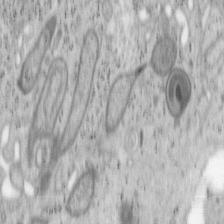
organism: Human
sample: HeLa cells